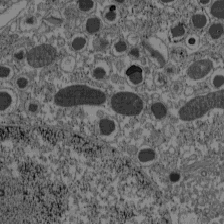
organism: C57BL Mouse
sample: Pancreatic islet